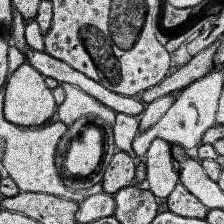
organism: Human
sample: Temporal Lobe